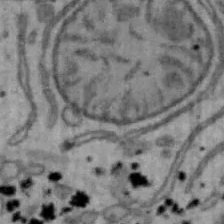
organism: Mouse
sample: Liver